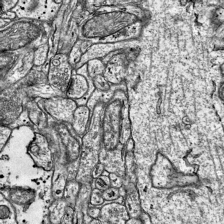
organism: Mouse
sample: Visual Cortex